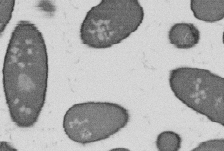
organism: B. subtilis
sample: Bacterial spore